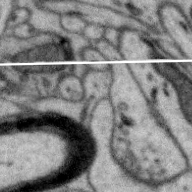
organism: Zebra finch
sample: Brain